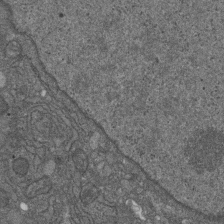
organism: Drosophila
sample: Nephrocyte